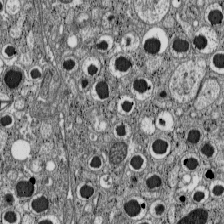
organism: C57BL Mouse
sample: Pancreatic islet